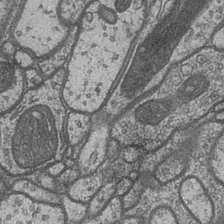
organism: Drosophila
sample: Optic medulla